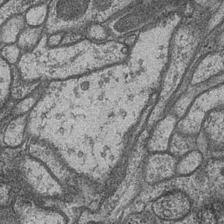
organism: Drosophila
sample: Optic medulla